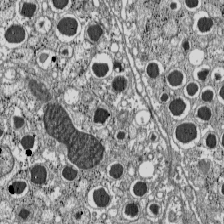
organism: C57BL Mouse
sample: Pancreatic islet